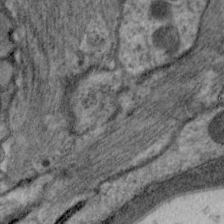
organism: C. elegans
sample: Pharynx